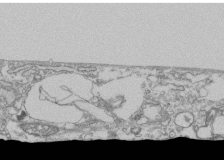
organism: Human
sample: Fibroblast cells